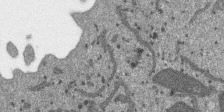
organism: Human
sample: Lung epithelial cells infected with SARS-CoV-2